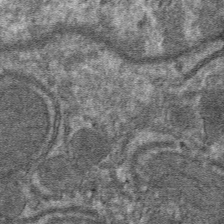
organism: Mouse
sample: Mouse hepatocytes